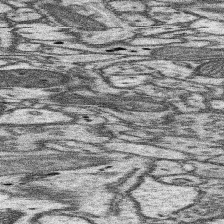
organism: Mouse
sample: Somatosensory cortex neuropil